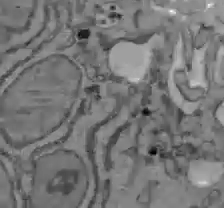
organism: C57BL Mouse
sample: Liver